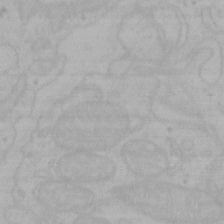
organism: Mouse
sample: Choroid plexus